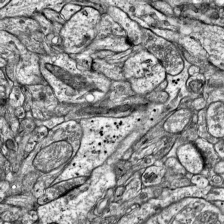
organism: Mouse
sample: Visual Cortex